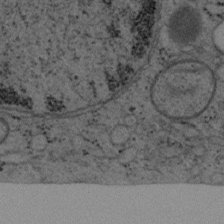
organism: Human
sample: HeLa cells